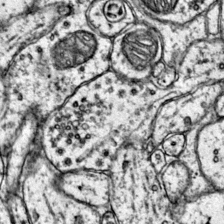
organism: Mouse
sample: Primary visual cortex